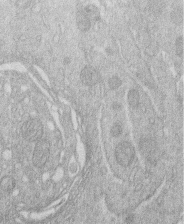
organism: Human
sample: Macrophage cells